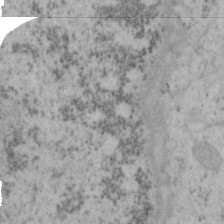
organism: Human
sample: HeLa cells